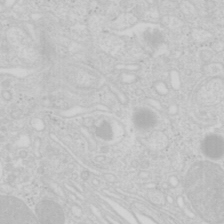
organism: Mouse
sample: Pancreas